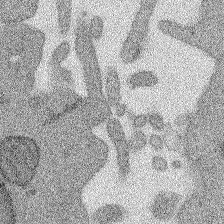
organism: Human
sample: HeLa cells